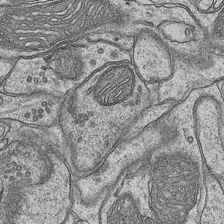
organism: Mouse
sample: CA1 Hippocampus